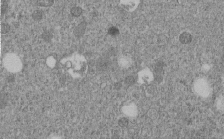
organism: C. elegans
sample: C. elegans embryo early stage